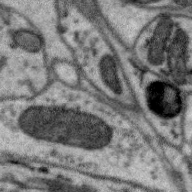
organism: Zebra finch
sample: Brain